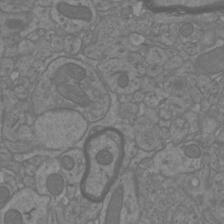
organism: Mouse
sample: Cortical neurons